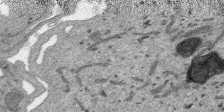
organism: Human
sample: Lung epithelial cells infected with SARS-CoV-2